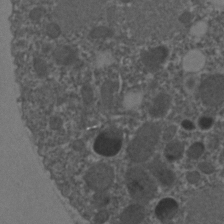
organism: C. elegans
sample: C. elegans embryo